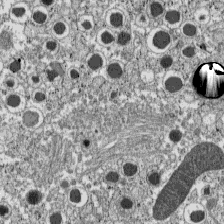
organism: C57BL Mouse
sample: Pancreatic islet